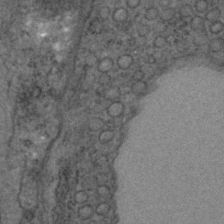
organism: C. elegans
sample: C. elegans embryo